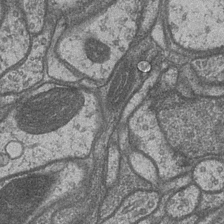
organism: Drosophila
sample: Optic medulla